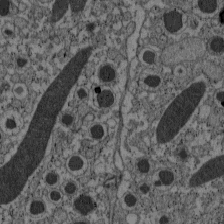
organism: C57BL Mouse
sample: Pancreatic islet